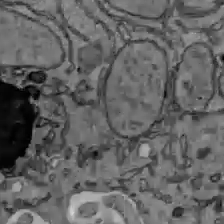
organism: C57BL Mouse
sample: Liver